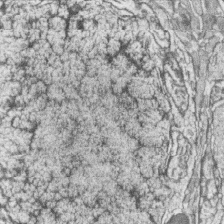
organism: Zebrafish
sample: synaptic ribbons in rod cells and cone cells